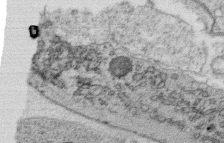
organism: C. elegans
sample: C. elegans oocyte; sperm cells